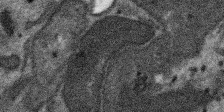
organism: Human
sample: Lung epithelial cells infected with SARS-CoV-2